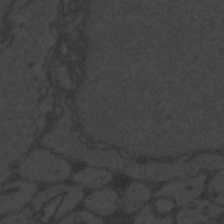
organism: Zebrafish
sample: Macrophage infected with Toxoplasma gondii